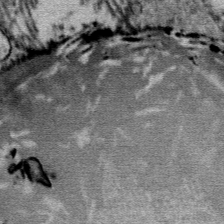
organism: Mouse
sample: Mouse Salivary gland